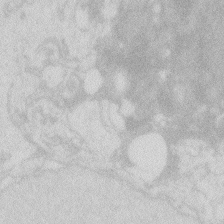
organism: Zebrafish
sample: Macrophage